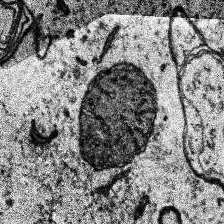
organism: Human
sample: Temporal Lobe